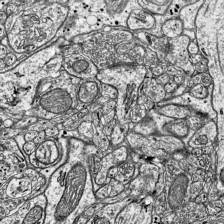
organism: Mouse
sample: Visual Cortex